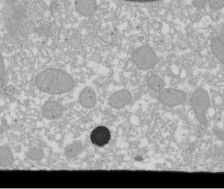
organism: Xenopus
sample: Cilia; centrioles in frog embryo cells